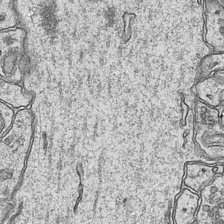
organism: Mouse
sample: CA1 Hippocampus